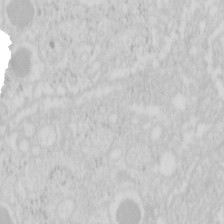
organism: Mouse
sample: Pancreas